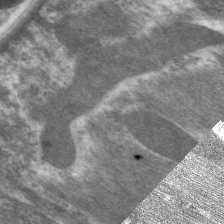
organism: C. elegans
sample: Pharynx